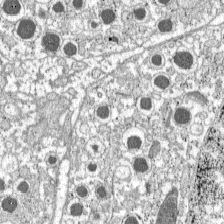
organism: C57BL Mouse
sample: Pancreatic islet